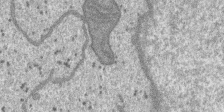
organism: Human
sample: Lung epithelial cells infected with SARS-CoV-2